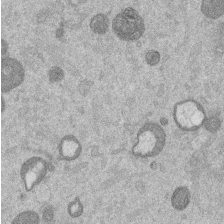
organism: Mouse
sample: Dividing mouse embryo 1 cell stage